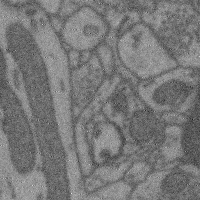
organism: Mouse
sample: Cerebral cortex